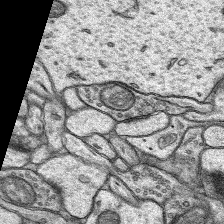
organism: Rat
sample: Hippocampus